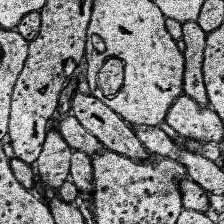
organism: Human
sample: Temporal Lobe